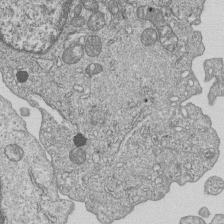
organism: Human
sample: MDA-MB-231 cells